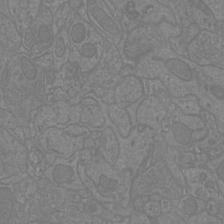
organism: Mouse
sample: Cortical neurons